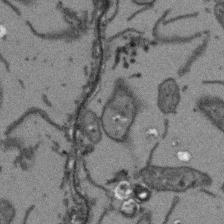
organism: Arabidopsis thaliana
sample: Root tip